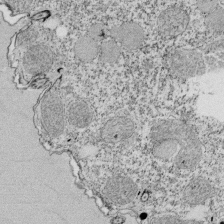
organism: Tetrahymena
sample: Cilia in tetrahymena